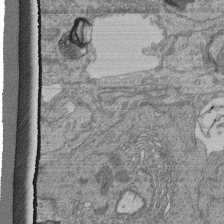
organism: Human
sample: Retinal organoid Rod and Cone cells